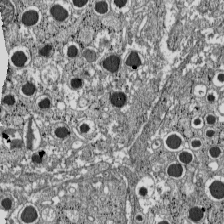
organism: C57BL Mouse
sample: Pancreatic islet